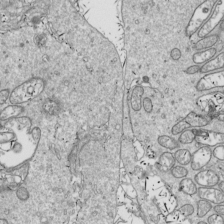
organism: Drosophila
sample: Cell division; meiosis; drosophila spermatocytes